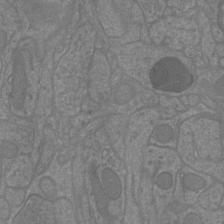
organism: Mouse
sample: Cortical neurons